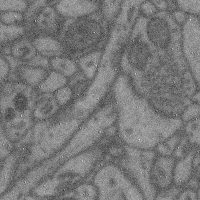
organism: Mouse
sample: Cerebral cortex